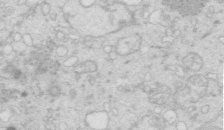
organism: Mouse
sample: Multiciliated cells